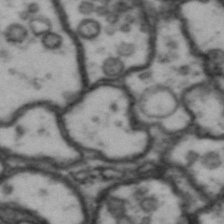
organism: Drosophila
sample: Brain